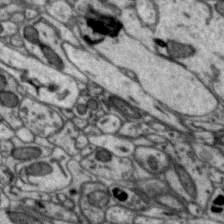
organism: Zebra finch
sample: Brain